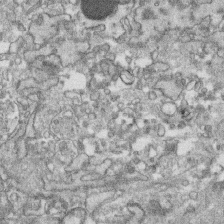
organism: Human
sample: CRL-1474